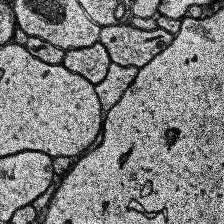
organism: Human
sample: Temporal Lobe